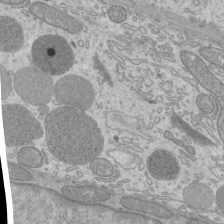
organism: Mouse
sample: Cilia; mouse epididymis